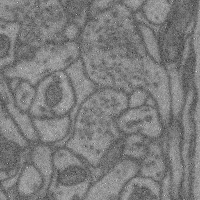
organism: Mouse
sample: Cerebral cortex